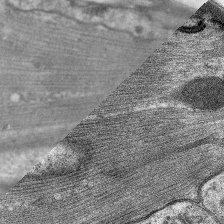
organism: C. elegans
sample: Pharynx